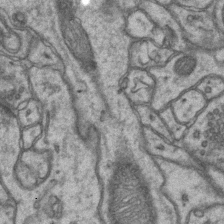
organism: Mouse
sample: CA1 Hippocampus